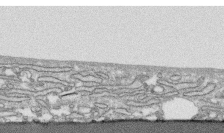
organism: Human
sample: CRL-1474